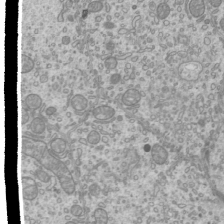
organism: Mouse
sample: Cilia; mouse epididymis